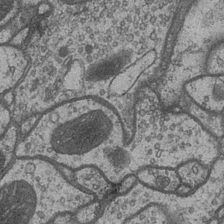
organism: Drosophila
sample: Optic medulla